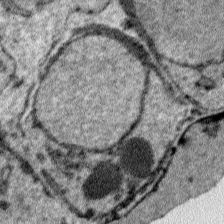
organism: Plasmodium falciparum